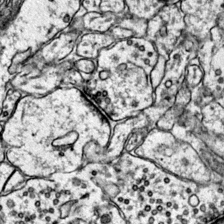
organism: Mouse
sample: Primary visual cortex